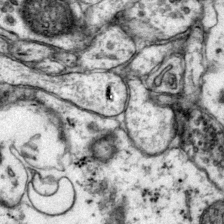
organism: Mouse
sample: Primary visual cortex